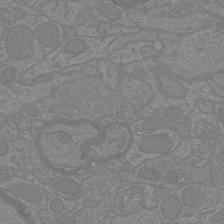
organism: Mouse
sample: Cortical neurons